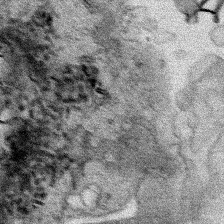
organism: Human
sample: Mitochondria in HCT116 cells